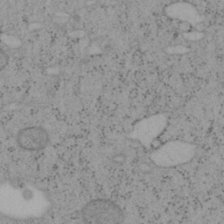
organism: Mouse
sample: OT-I killer T cells with ID8 ovarian cancer cells